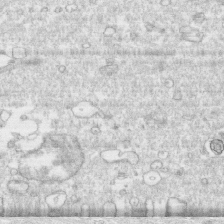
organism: Human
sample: CRL-1474